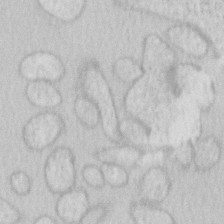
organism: Human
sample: HeLa cells